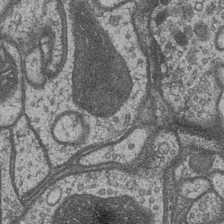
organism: Drosophila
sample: Optic medulla